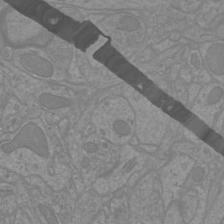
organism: Mouse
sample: Cortical neurons